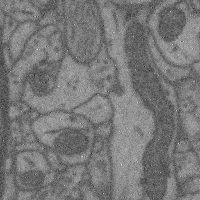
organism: Mouse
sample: Cerebral cortex